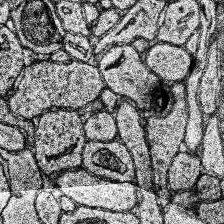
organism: Human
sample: Temporal Lobe